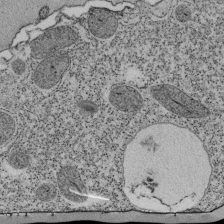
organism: Tetrahymena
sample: Cilia in tetrahymena